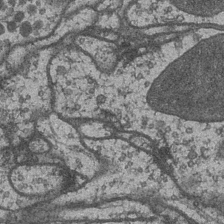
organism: Drosophila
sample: Optic medulla